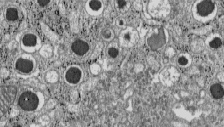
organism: C57BL Mouse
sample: Pancreatic islet